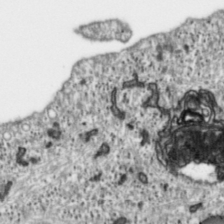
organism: Toxoplasma gondii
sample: Parasites in a vacuole inside a host cell